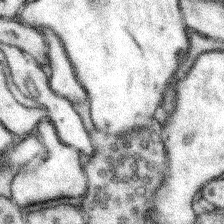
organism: Mouse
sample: Somatosensory cortex neuropil